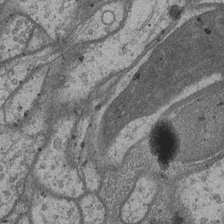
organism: Drosophila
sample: Optic medulla